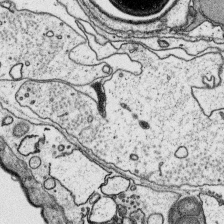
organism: Platynereis dumerilii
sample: Parapodia